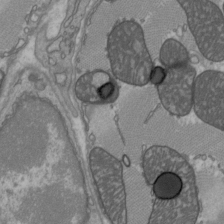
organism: C57BL Mouse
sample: Heart